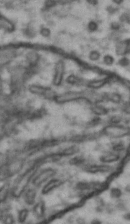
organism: Drosophila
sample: Brain